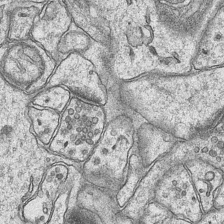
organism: Mouse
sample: CA1 Hippocampus